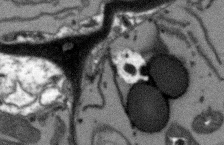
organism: Arabidopsis thaliana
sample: Root tip